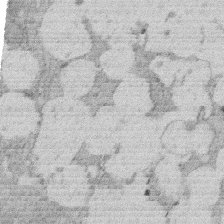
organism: Rat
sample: Salivary granule